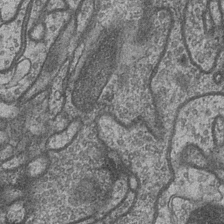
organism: Drosophila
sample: Optic medulla